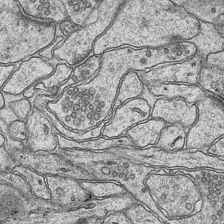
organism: Mouse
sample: CA1 Hippocampus